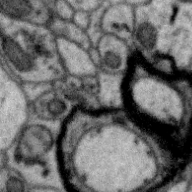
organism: Zebra finch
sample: Brain